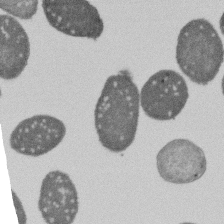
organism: E. coli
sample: Bacterial nucleoid